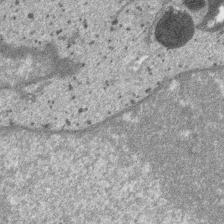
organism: Human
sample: Lung epithelial cells infected with SARS-CoV-2